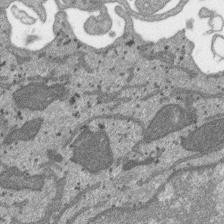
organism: Human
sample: Lung epithelial cells infected with SARS-CoV-2